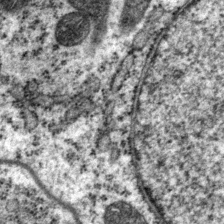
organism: P. pacificus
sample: Pharynx